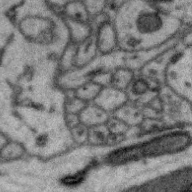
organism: Zebra finch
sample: Brain